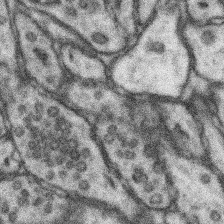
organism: Mouse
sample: Somatosensory cortex neuropil